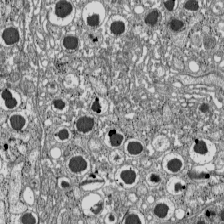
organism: C57BL Mouse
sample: Pancreatic islet